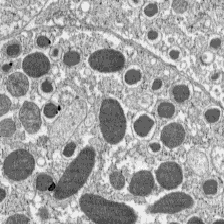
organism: C57BL Mouse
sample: Pancreatic islet